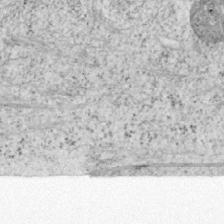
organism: Mouse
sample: OT-I killer T cells with ID8 ovarian cancer cells